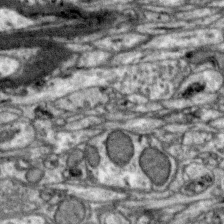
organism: Zebra finch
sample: Brain